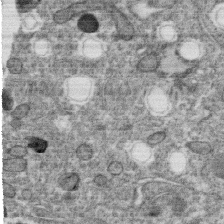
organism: C. elegans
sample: C. elegans oocyte; sperm cells